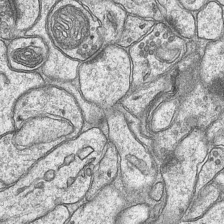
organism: Mouse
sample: CA1 Hippocampus